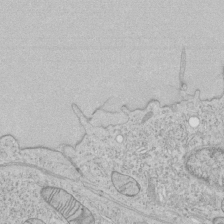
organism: Human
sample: Mitochondria in HCT116 cells